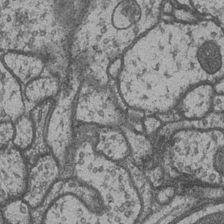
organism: Drosophila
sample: Optic medulla